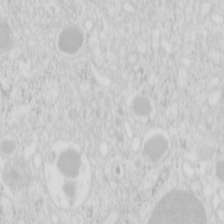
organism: Mouse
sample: Pancreas